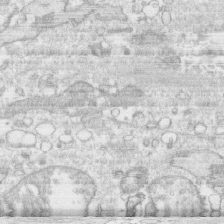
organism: Human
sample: CRL-1474